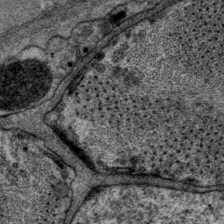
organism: P. pacificus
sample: Pharynx